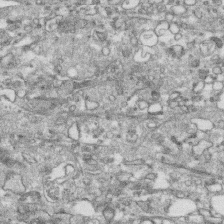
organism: Human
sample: CRL-1474